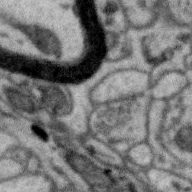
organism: Zebra finch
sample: Brain